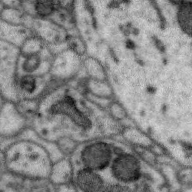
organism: Zebra finch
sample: Brain